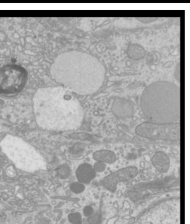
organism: Mouse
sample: Cilia; mouse epididymis